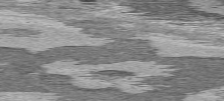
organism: C57BL Mouse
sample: Heart